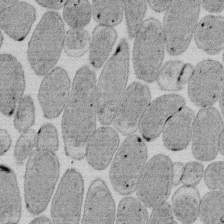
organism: E. coli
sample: Bacterial nucleoid